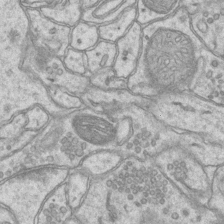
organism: Mouse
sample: CA1 Hippocampus